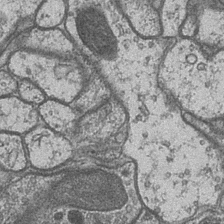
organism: Drosophila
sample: Optic medulla